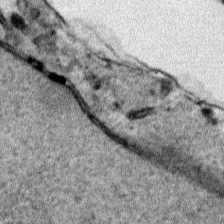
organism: Human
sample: Mitochondria in HCT116 cells